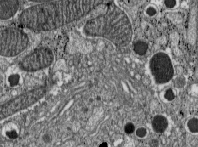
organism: C57BL Mouse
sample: Pancreatic islet